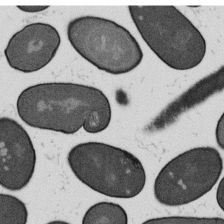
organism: B. subtilis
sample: Bacterial spore